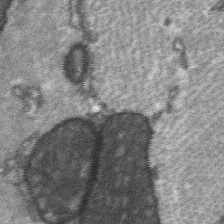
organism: C57BL Mouse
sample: Soleus